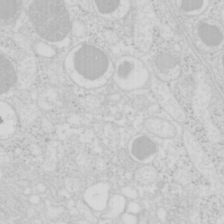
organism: Mouse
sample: Pancreas